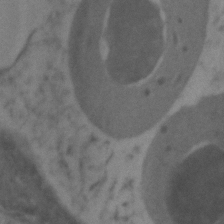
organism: Zebrafish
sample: Zebrafish embryo